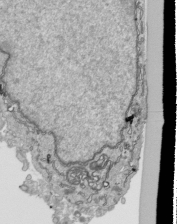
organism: Human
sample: Mitochondria in HCT116 cells